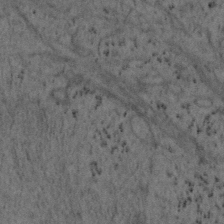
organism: Human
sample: HeLa cells